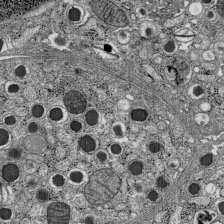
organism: C57BL Mouse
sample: Pancreatic islet